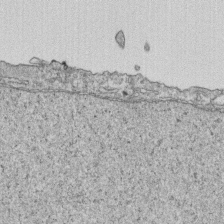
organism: Human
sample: HeLa cell HIV synapse